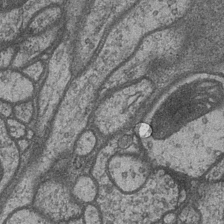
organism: Drosophila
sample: Optic medulla